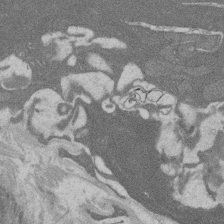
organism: Rat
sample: Salivary granule